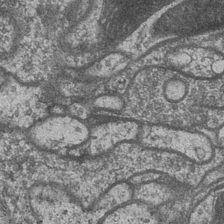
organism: Drosophila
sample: Optic medulla